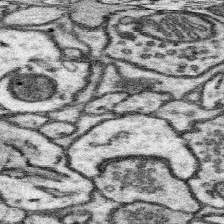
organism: Mouse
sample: Somatosensory cortex neuropil